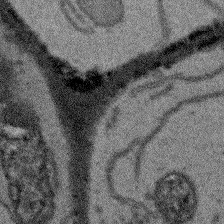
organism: Arabidopsis thaliana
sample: Root tip